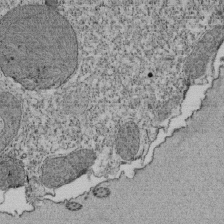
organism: Tetrahymena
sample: Cilia in tetrahymena